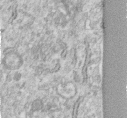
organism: Human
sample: Centriole in fibroblast cells